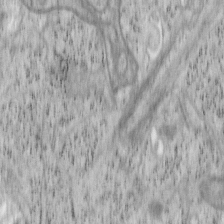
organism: Human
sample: HeLa cells